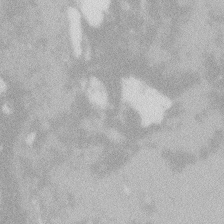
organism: Zebrafish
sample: Macrophage